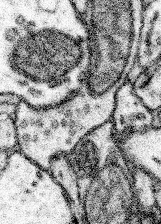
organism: Mouse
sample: Somatosensory cortex neuropil